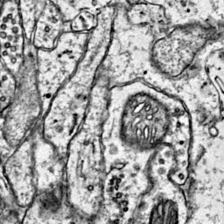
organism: Mouse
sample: Primary visual cortex